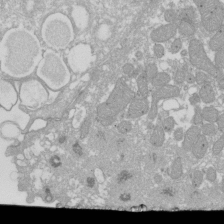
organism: Xenopus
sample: Cilia; centrioles in frog embryo cells